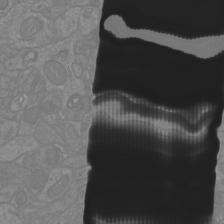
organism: Mouse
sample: Cortical neurons